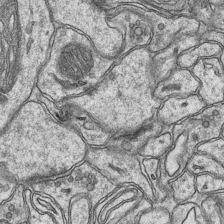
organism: Mouse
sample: CA1 Hippocampus